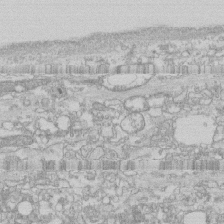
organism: Human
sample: CRL-1474